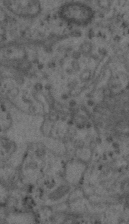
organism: Human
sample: HeLa cells